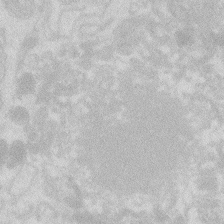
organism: Zebrafish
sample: Macrophage